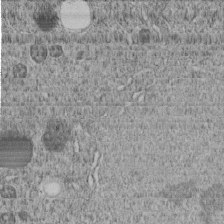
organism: C. elegans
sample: C. elegans embryo early stage